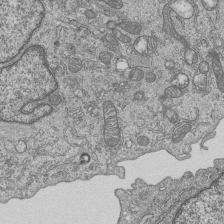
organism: Human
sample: MDA-MB-231 cells